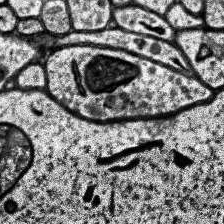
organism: Human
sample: Temporal Lobe